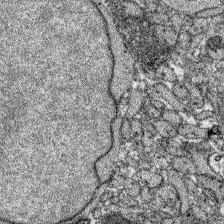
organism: Zebrafish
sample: Larval olfactory bulb